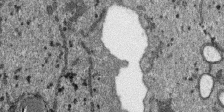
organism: Human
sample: Lung epithelial cells infected with SARS-CoV-2